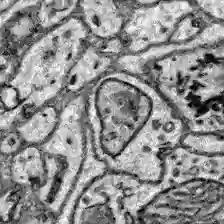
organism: Zebrafish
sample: Brain